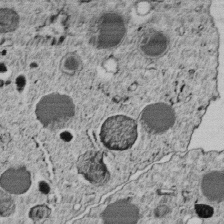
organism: C. elegans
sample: C. elegans embryo early stage